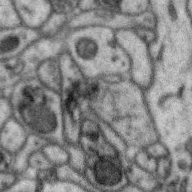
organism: Zebra finch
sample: Brain